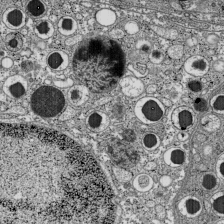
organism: C57BL Mouse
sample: Pancreatic islet